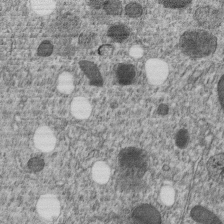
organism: C. elegans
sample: C. elegans embryo early stage